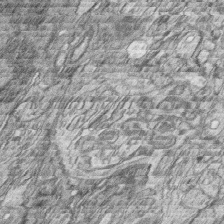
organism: Zebrafish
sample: synaptic ribbons in rod cells and cone cells